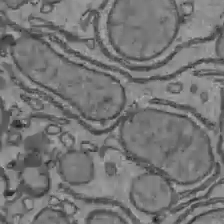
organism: C57BL Mouse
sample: Liver